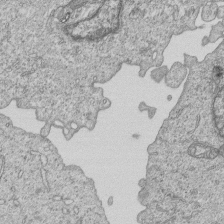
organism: Human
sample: MDA-MB-231 cells